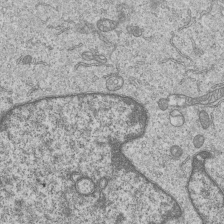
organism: Human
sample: MDA-MB-231 cells